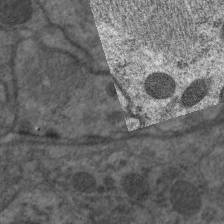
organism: C. elegans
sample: Pharynx